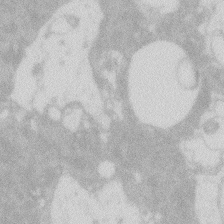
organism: Zebrafish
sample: Macrophage